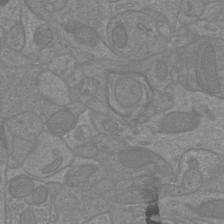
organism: Mouse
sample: Cortical neurons